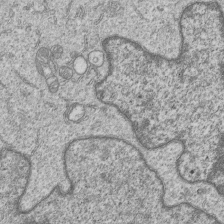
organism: Human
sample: MDA-MB-231 cells